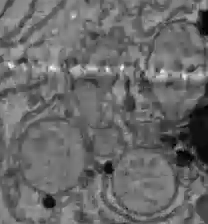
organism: C57BL Mouse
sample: Liver